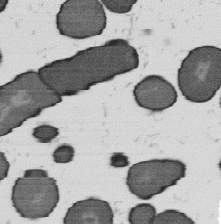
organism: B. subtilis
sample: Bacterial spore